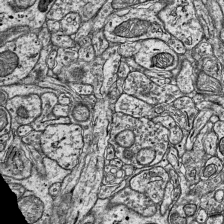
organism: Mouse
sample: Visual Cortex